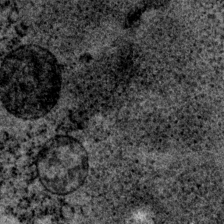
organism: P. pacificus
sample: Pharynx